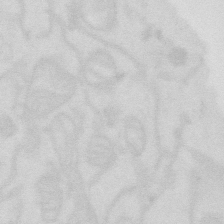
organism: Human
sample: HeLa cells